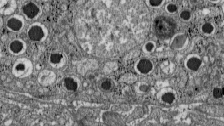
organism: C57BL Mouse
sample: Pancreatic islet